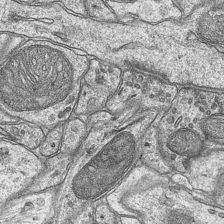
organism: Mouse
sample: CA1 Hippocampus